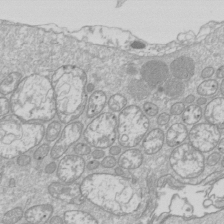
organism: Drosophila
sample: Cell division; meiosis; drosophila spermatocytes